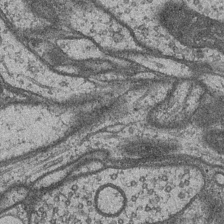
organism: Drosophila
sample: Optic medulla